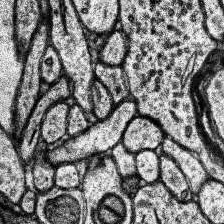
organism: Human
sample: Temporal Lobe